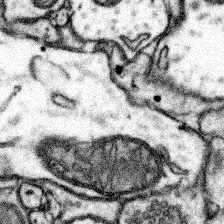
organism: Mouse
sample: Somatosensory cortex neuropil